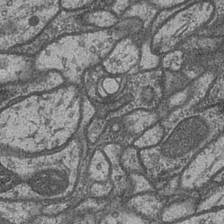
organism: Drosophila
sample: Optic medulla